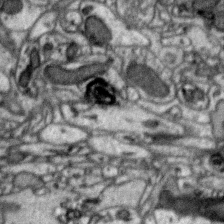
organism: Zebra finch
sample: Brain